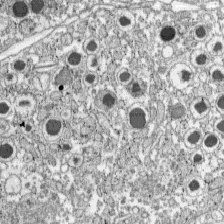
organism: C57BL Mouse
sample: Pancreatic islet